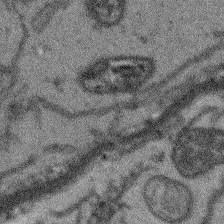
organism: Arabidopsis thaliana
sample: Root tip